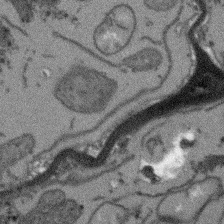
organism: Arabidopsis thaliana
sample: Root tip